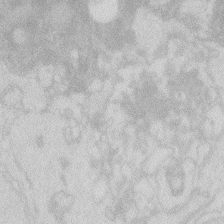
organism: Zebrafish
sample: Macrophage